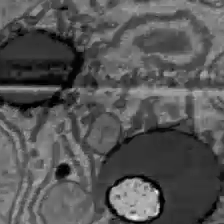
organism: C57BL Mouse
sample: Liver